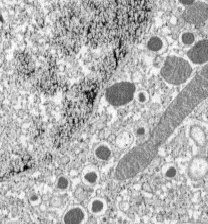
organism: C57BL Mouse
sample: Pancreatic islet